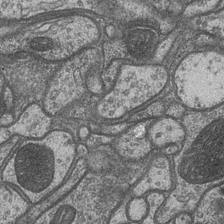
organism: Drosophila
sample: Optic medulla